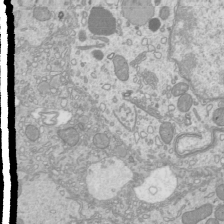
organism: Mouse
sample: Cilia; mouse epididymis